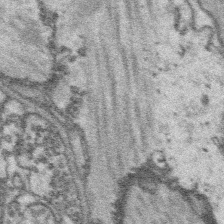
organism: Platynereis dumerilii